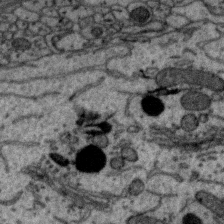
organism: Zebra finch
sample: Brain